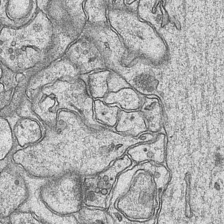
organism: Mouse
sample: CA1 Hippocampus